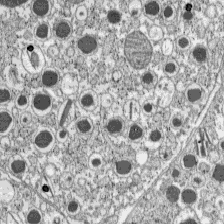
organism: C57BL Mouse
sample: Pancreatic islet